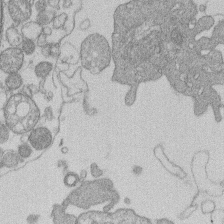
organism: Human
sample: Macrophage cells